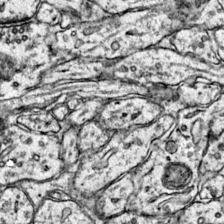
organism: Mouse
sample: Primary visual cortex